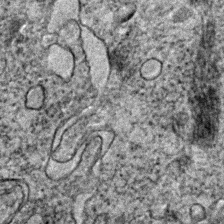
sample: Trachea